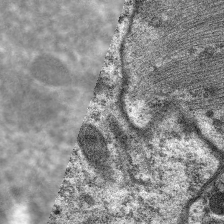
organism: C. elegans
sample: Pharynx